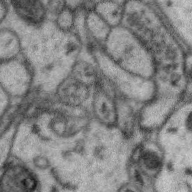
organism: Zebra finch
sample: Brain